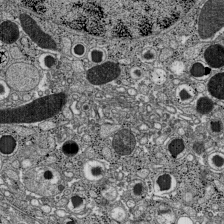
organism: C57BL Mouse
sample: Pancreatic islet